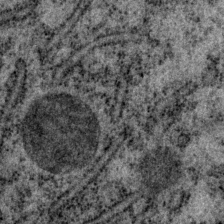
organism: P. pacificus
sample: Pharynx